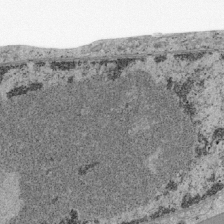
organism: Human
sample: HeLa cells